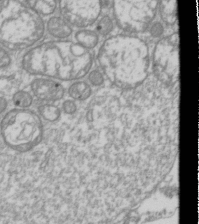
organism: Drosophila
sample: Cell division; meiosis; drosophila spermatocytes